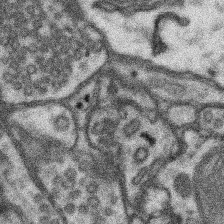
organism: Mouse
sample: Somatosensory cortex neuropil